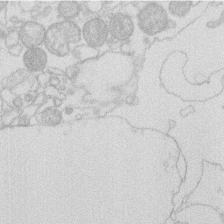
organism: Human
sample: Macrophage cells